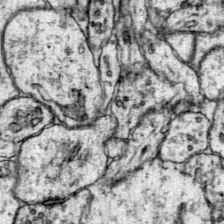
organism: Mouse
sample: Primary visual cortex